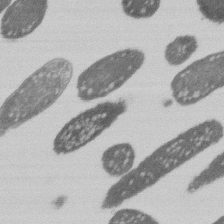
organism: E. coli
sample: Bacterial nucleoid